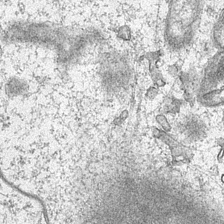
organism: Mouse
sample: CA1 Hippocampus